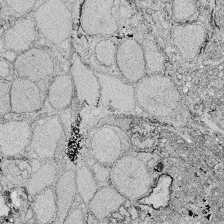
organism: Zebrafish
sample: Whole-Brain